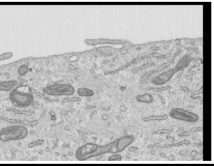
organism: Human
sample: Centriole in RPE cells